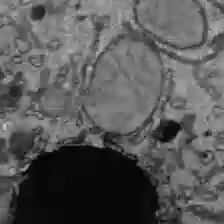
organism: C57BL Mouse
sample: Liver